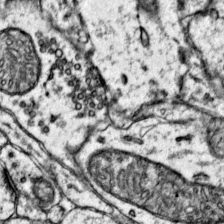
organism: Mouse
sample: Primary visual cortex